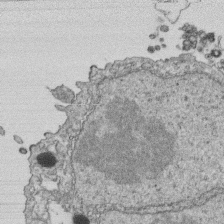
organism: Human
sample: HeLa cell HIV synapse